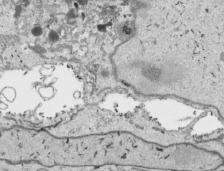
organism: Human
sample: Mitochondria in HCT116 cells